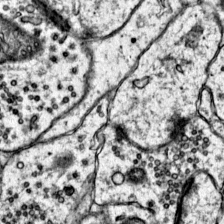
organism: Mouse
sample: Primary visual cortex